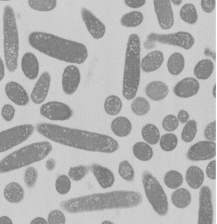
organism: E. coli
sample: Bacterial nucleoid